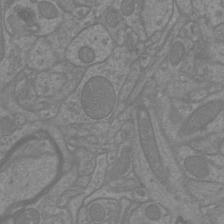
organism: Mouse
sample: Cortical neurons